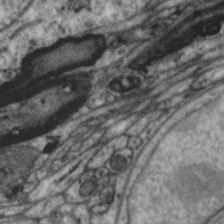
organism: Zebra finch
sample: Brain